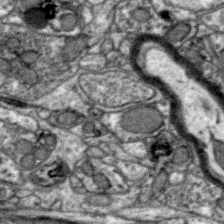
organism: Zebra finch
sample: Brain